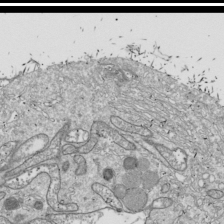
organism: Drosophila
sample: Cell division; meiosis; drosophila spermatocytes